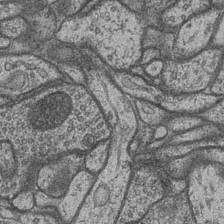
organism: Drosophila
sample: Optic medulla